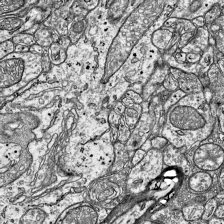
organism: Mouse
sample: Visual Cortex